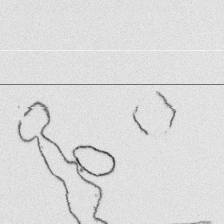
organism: Platynereis dumerilii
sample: Parapodia